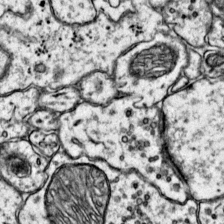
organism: Mouse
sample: Primary visual cortex